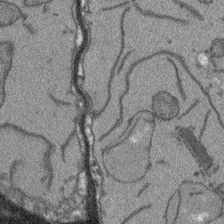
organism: Arabidopsis thaliana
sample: Root tip